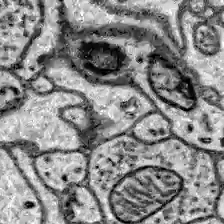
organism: Zebrafish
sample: Brain